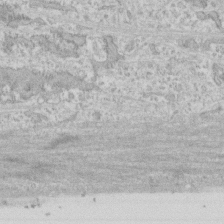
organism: Human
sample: CRL-1474